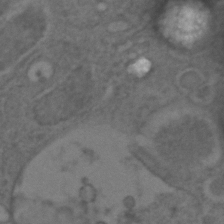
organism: C. elegans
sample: C. elegans embryo